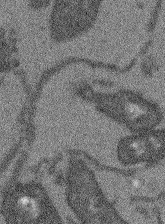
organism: Arabidopsis thaliana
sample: Root tip